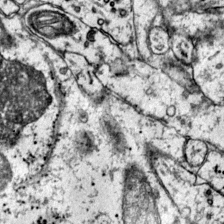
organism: Mouse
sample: Primary visual cortex